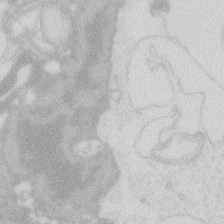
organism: Zebrafish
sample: Macrophage